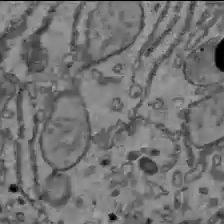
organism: C57BL Mouse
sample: Liver